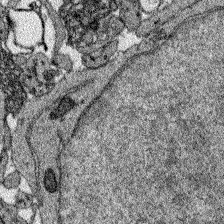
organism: Zebrafish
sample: Larval olfactory bulb